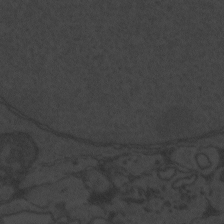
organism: Zebrafish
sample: Macrophage infected with Toxoplasma gondii